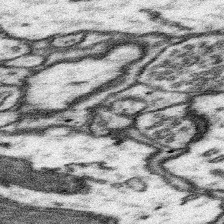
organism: Mouse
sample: Somatosensory cortex neuropil